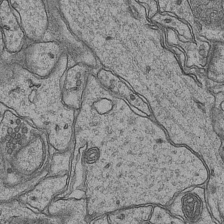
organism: Mouse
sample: CA1 Hippocampus